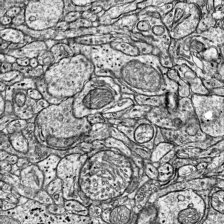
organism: Mouse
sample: Visual Cortex